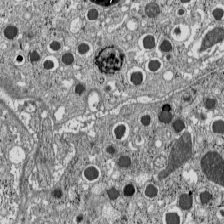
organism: C57BL Mouse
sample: Pancreatic islet